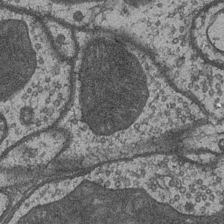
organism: Drosophila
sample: Optic medulla